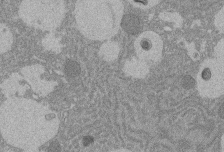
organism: Rat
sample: Salivary granule